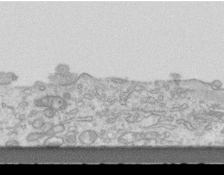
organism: Mouse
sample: Centriole in ependymal cells